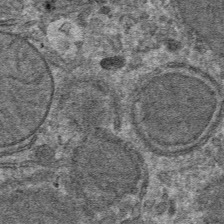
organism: Mouse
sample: Mouse hepatocytes